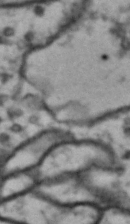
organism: Drosophila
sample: Brain